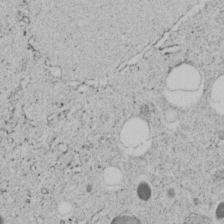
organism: C. elegans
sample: C. elegans embryo early stage